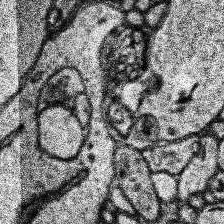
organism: Human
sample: Temporal Lobe